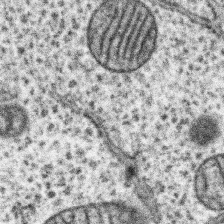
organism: Human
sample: HeLa cells